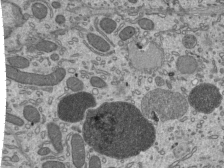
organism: Mouse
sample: Mouse epididymis efferent ductule cilia